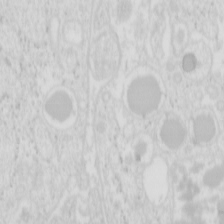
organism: Mouse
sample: Pancreas